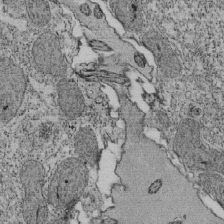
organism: Tetrahymena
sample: Cilia in tetrahymena